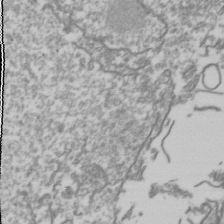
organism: Drosophila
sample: Cell division; meiosis; drosophila spermatocytes